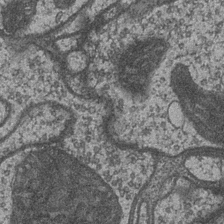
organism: Drosophila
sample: Optic medulla